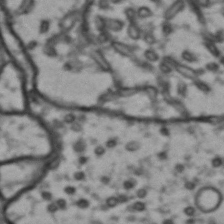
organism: Drosophila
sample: Brain